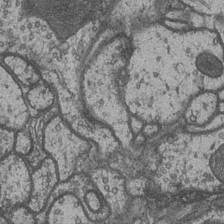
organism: Drosophila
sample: Optic medulla